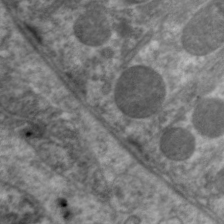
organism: C. elegans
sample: Pharynx